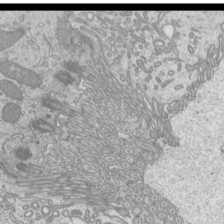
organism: Mouse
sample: Cilia; mouse epididymis